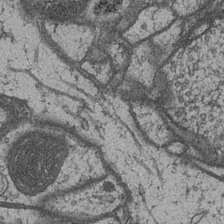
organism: Drosophila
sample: Optic medulla